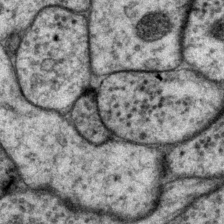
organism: P. pacificus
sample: Pharynx